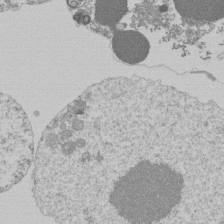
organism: Mouse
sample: Activated Pmel transgenic CD8+ T Cells